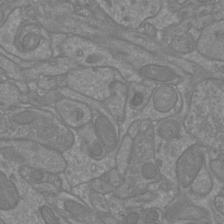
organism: Mouse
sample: Cortical neurons